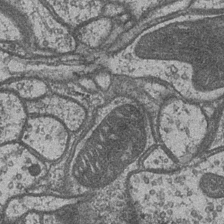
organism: Drosophila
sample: Optic medulla